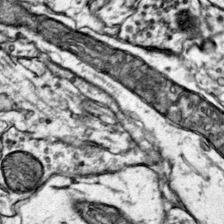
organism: Mouse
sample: Primary visual cortex